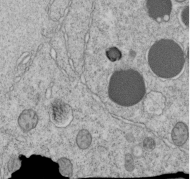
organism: C. elegans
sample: C. elegans embryo early stage